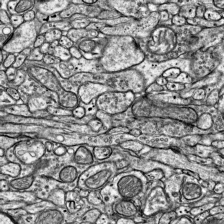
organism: Mouse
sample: Visual Cortex